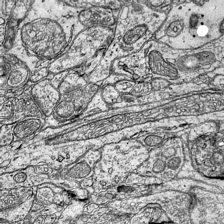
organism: Mouse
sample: Visual Cortex